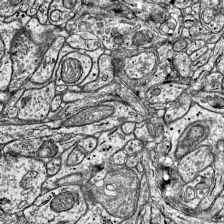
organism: Mouse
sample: Visual Cortex